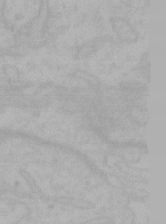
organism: Mouse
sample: Choroid plexus